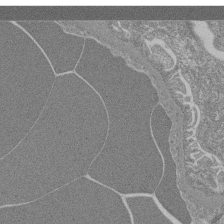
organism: Mouse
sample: Glomerulus